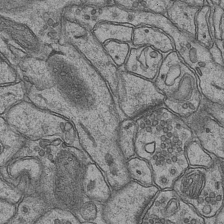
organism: Mouse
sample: CA1 Hippocampus